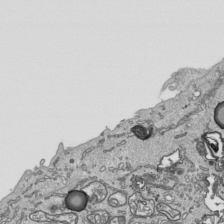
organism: Human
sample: Mitochondria in HCT116 cells